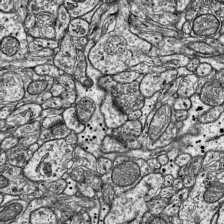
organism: Mouse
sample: Visual Cortex